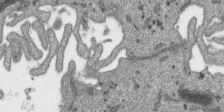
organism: Human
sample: Lung epithelial cells infected with SARS-CoV-2